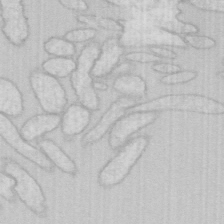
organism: Human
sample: HeLa cells